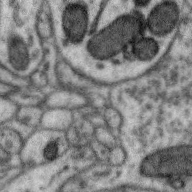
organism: Zebra finch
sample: Brain